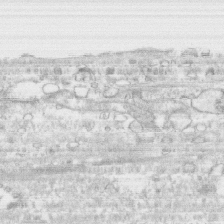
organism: Human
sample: CRL-1474